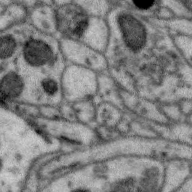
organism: Zebra finch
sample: Brain